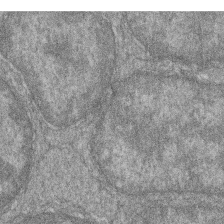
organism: Zebrafish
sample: Cilia; retinal pigment epithelium